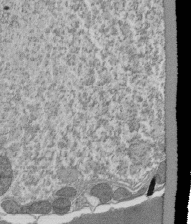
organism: Tetrahymena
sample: Cilia in tetrahymena